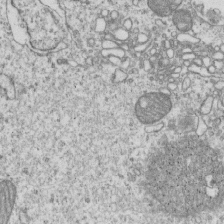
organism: Human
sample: MDA-MB-231 cells